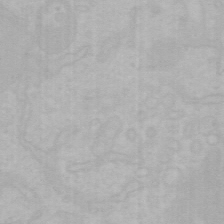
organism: Mouse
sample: Choroid plexus